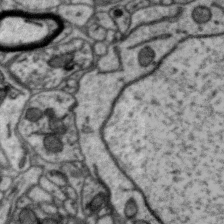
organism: Zebra finch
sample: Brain